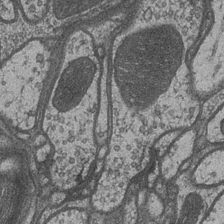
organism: Drosophila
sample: Optic medulla